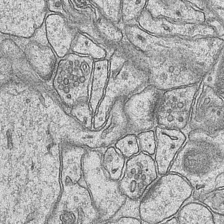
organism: Mouse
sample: CA1 Hippocampus